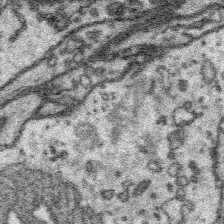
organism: Platynereis dumerilii